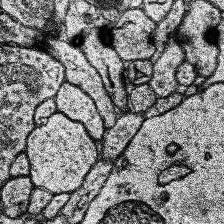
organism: Human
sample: Temporal Lobe